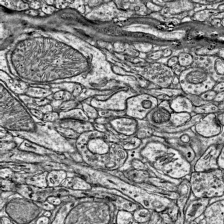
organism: Mouse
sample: Visual Cortex